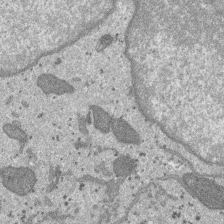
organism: Human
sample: Lung epithelial cells infected with SARS-CoV-2